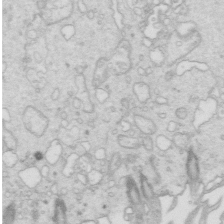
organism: Mouse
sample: Multiciliated cells